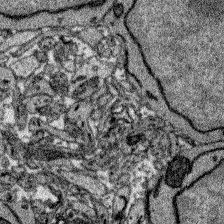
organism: Zebrafish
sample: Larval olfactory bulb